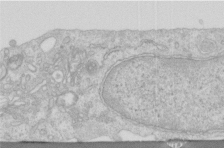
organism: Human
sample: Centriole in RPE cells